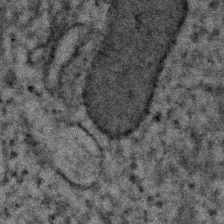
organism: Human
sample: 1205lu cells